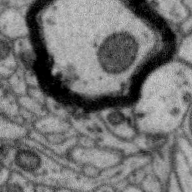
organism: Zebra finch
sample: Brain